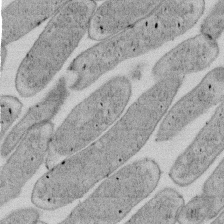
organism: E. coli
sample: Bacterial nucleoid